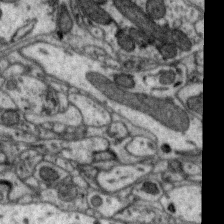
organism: Zebra finch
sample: Brain